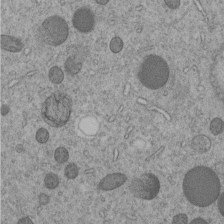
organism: C. elegans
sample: C. elegans embryo early stage